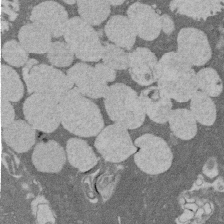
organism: Rat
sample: Salivary granule